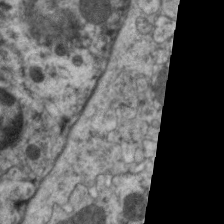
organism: C. elegans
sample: Pharynx